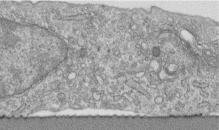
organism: Human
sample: Centriole in fibroblast cells